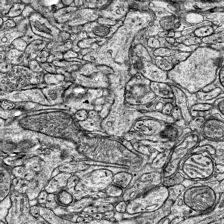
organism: Mouse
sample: Visual Cortex